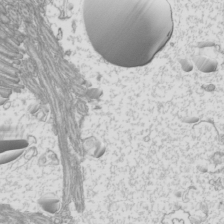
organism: Mouse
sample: Cilia; mouse epididymis